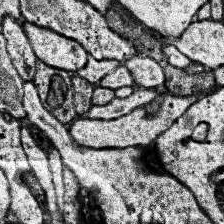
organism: Human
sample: Temporal Lobe